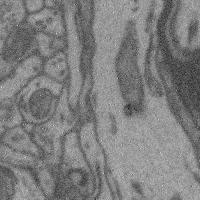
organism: Mouse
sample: Cerebral cortex